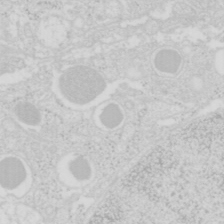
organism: Mouse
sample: Pancreas